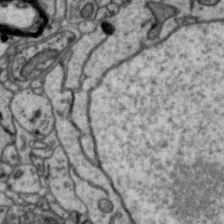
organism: Zebra finch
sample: Brain